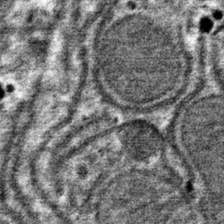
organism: Mouse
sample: Mouse hepatocytes